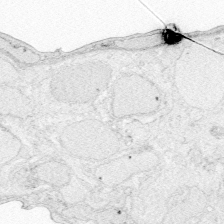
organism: Zebrafish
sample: Whole-Brain